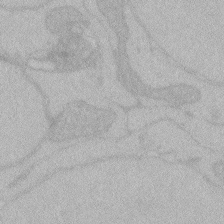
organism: Zebrafish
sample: Macrophage infected with Toxoplasma gondii